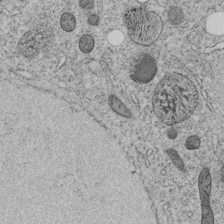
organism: C. elegans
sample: C. elegans embryo early stage